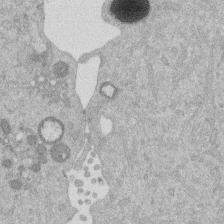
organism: Mouse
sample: Dividing mouse embryo 1 cell stage